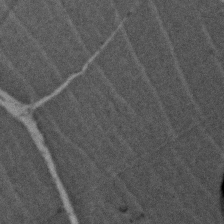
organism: Zebrafish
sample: Zebrafish embryo